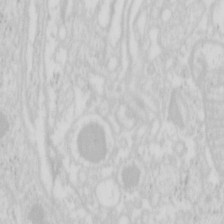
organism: Mouse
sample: Pancreas